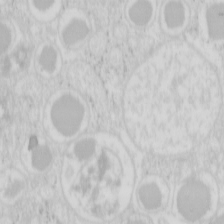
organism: Mouse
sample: Pancreas